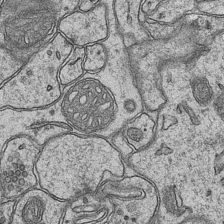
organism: Mouse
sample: CA1 Hippocampus